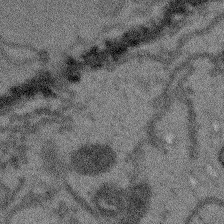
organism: Arabidopsis thaliana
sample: Root tip